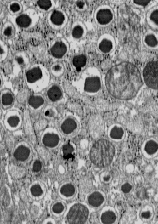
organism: C57BL Mouse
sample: Pancreatic islet